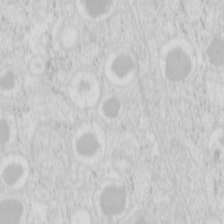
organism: Mouse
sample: Pancreas